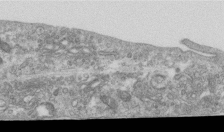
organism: Human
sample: Centriole in RPE cells